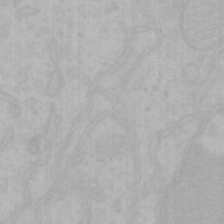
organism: Mouse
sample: Choroid plexus